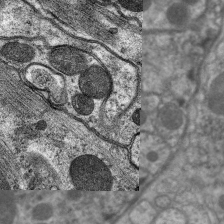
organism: C. elegans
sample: Pharynx